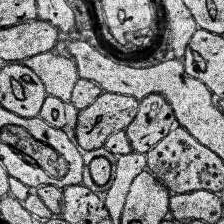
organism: Human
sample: Temporal Lobe